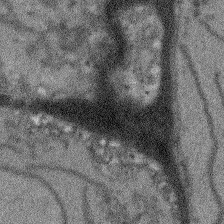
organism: Arabidopsis thaliana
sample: Root tip